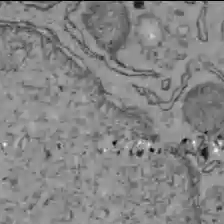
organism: C57BL Mouse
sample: Liver